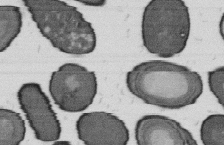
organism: B. subtilis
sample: Bacterial spore